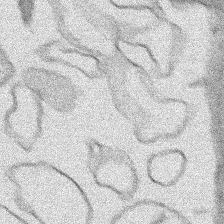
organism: Human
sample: Mitochondria in HCT116 cells